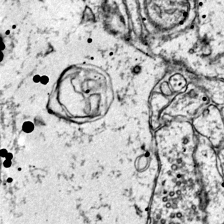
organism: Mouse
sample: Primary visual cortex